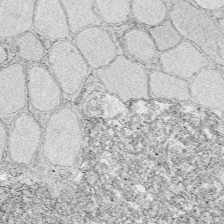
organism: Zebrafish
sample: Whole-Brain